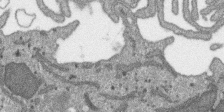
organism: Human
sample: Lung epithelial cells infected with SARS-CoV-2